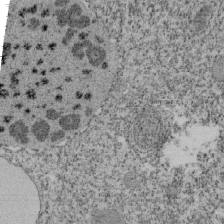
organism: Tetrahymena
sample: Cilia in tetrahymena